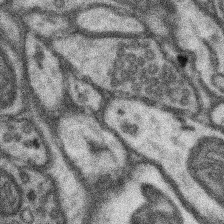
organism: Mouse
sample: Somatosensory cortex neuropil